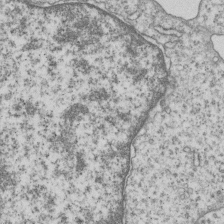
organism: Human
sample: MDA-MB-231 cells